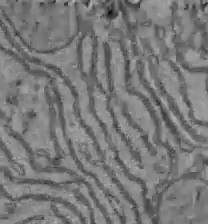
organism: C57BL Mouse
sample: Liver